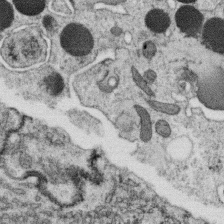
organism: C. elegans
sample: C. elegans oocyte; sperm cells